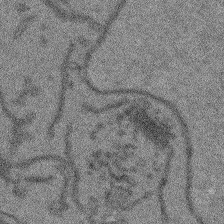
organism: Arabidopsis thaliana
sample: Root tip